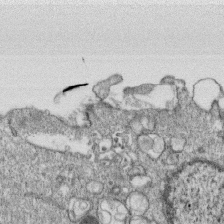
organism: African green monkey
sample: Vero E6 cells infected with SARS-CoV-2